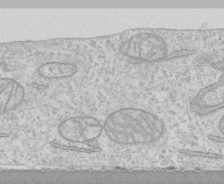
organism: Human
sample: CRL-1474